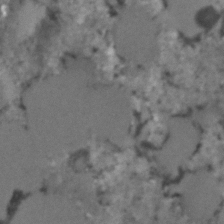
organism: C. elegans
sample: C. elegans embryo